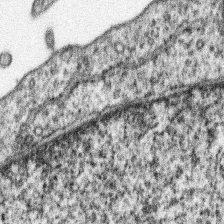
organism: Human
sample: HeLa cells